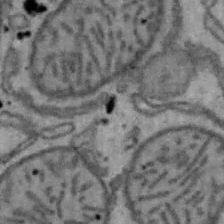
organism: Mouse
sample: Liver